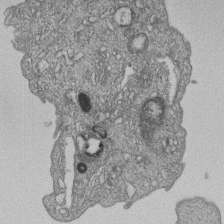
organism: Human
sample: MDA-MB-231 cells